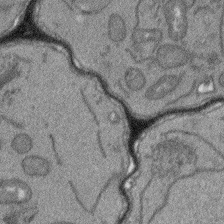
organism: Arabidopsis thaliana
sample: Root tip